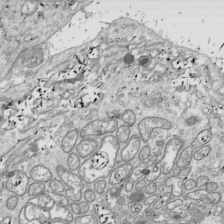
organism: Drosophila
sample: Cell division; meiosis; drosophila spermatocytes